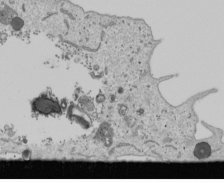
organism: Human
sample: Mitochondria in U2OS cells